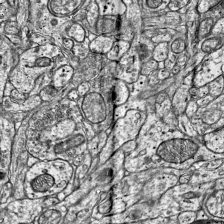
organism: Mouse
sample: Visual Cortex